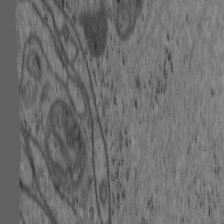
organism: Human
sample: HeLa cells